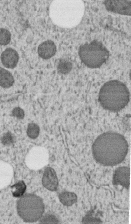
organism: C. elegans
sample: C. elegans embryo early stage